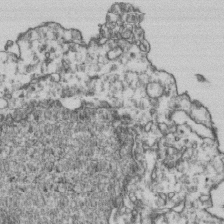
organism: Human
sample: Activated Jurkat CD4+ T cells